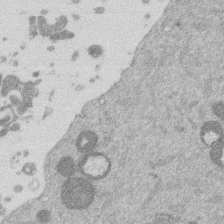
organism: Mouse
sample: Dividing mouse embryo 1 cell stage